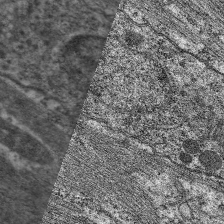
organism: C. elegans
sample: Pharynx